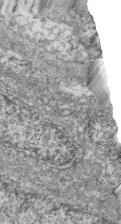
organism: Zebrafish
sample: Cilia; retinal pigment epithelium